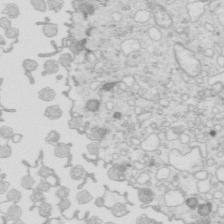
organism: Mouse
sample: Multiciliated cells